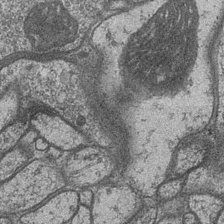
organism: Drosophila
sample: Optic medulla